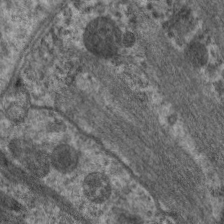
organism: C. elegans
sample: Pharynx